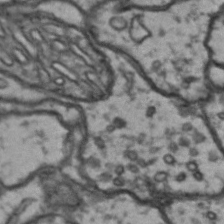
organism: Drosophila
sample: Brain